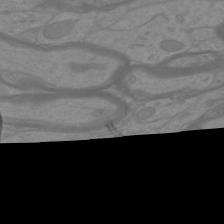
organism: Mouse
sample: Cortical neurons